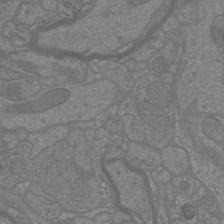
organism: Mouse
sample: Cortical neurons